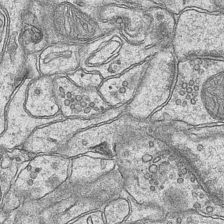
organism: Mouse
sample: CA1 Hippocampus